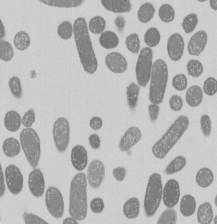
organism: E. coli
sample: Bacterial nucleoid